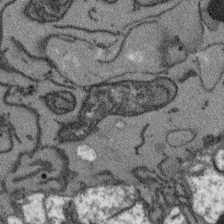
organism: Arabidopsis thaliana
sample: Root tip